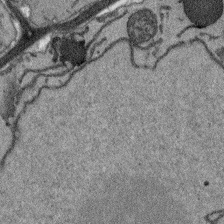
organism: Arabidopsis thaliana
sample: Root tip